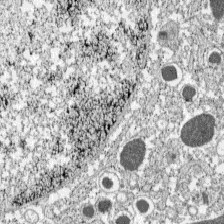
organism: C57BL Mouse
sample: Pancreatic islet